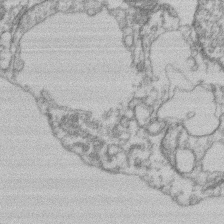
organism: Mouse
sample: T cell stromal cell synapse